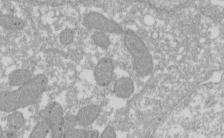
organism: Xenopus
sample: Cilia; centrioles in frog embryo cells